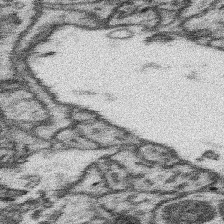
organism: Mouse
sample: Somatosensory cortex neuropil